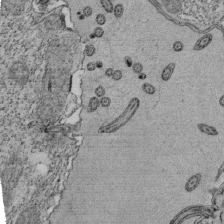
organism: Tetrahymena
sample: Cilia in tetrahymena